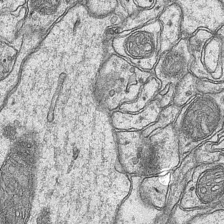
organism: Mouse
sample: CA1 Hippocampus